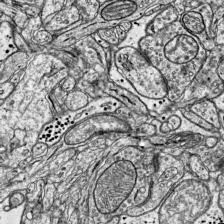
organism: Mouse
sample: Visual Cortex